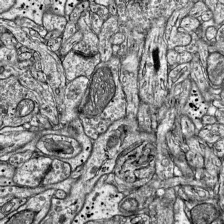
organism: Mouse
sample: Visual Cortex